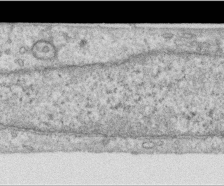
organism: Human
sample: Centriole in RPE cells